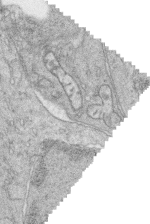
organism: Zebrafish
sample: synaptic ribbons in rod cells and cone cells